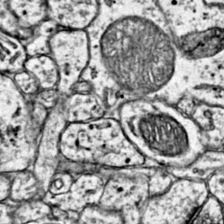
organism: Mouse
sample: Primary visual cortex